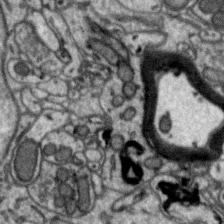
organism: Zebra finch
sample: Brain